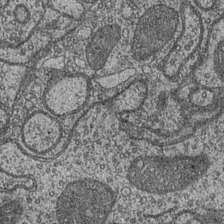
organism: Drosophila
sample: Optic medulla